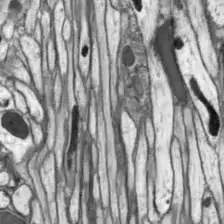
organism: Drosophila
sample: Optic lobe